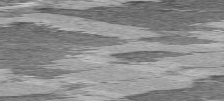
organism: C57BL Mouse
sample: Heart